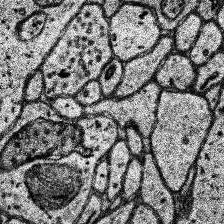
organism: Human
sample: Temporal Lobe